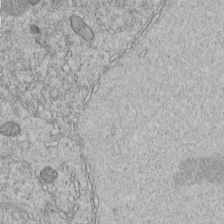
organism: C. elegans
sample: C. elegans embryo early stage